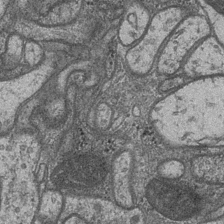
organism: Drosophila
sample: Optic medulla